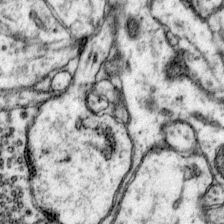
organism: Mouse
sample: Primary visual cortex